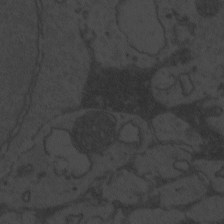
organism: Zebrafish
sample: Macrophage infected with Toxoplasma gondii